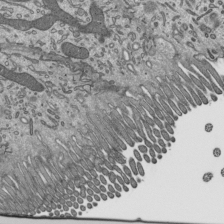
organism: Mouse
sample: Mouse epididymis efferent ductule cilia